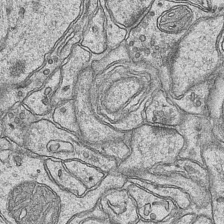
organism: Mouse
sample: CA1 Hippocampus